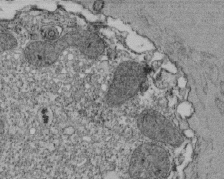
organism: Tetrahymena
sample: Cilia in tetrahymena